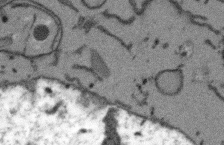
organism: Arabidopsis thaliana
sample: Root tip